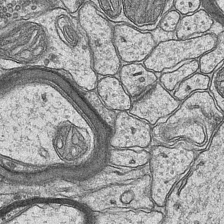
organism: Mouse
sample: CA1 Hippocampus